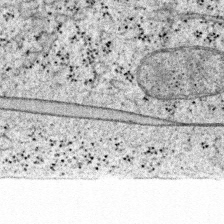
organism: Human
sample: HeLa cells